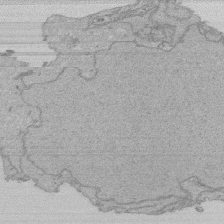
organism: Human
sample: Activated Jurkat CD4+ T cells